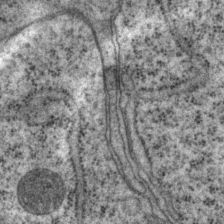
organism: P. pacificus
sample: Pharynx